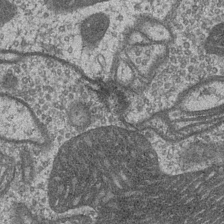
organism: Drosophila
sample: Optic medulla